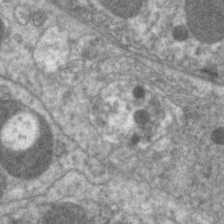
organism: C. elegans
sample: Pharynx